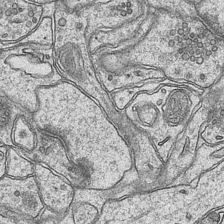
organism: Mouse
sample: CA1 Hippocampus